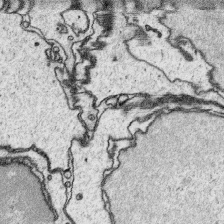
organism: Platynereis dumerilii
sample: Parapodia